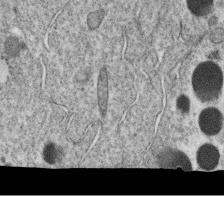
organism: C. elegans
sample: C. elegans oocyte; sperm cells